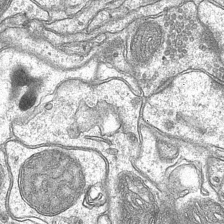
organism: Mouse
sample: CA1 Hippocampus